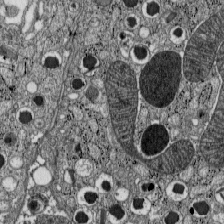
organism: C57BL Mouse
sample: Pancreatic islet